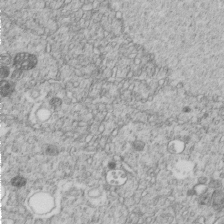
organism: C. elegans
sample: C. elegans embryo early stage